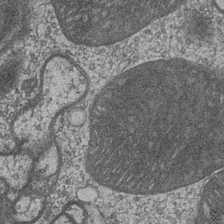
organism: Drosophila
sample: Optic medulla